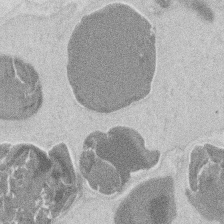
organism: Mouse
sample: T cell stromal cell synapse